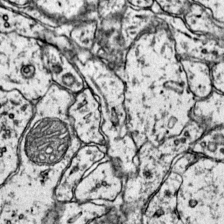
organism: Mouse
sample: Primary visual cortex